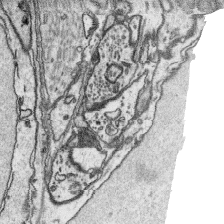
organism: Platynereis dumerilii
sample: Parapodia